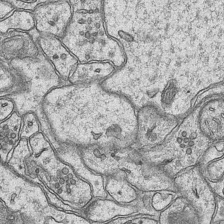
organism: Mouse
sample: CA1 Hippocampus